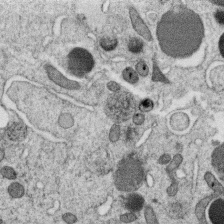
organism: C. elegans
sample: C. elegans oocyte; sperm cells